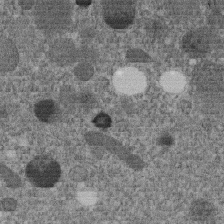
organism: C. elegans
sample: C. elegans embryo early stage